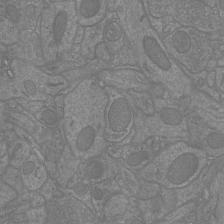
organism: Mouse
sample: Cortical neurons